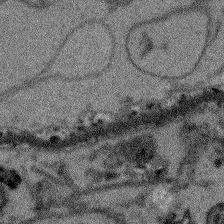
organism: Arabidopsis thaliana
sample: Root tip